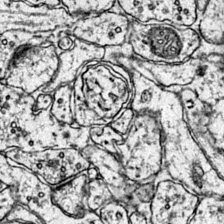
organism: Mouse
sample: Primary visual cortex